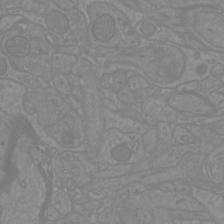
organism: Mouse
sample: Cortical neurons